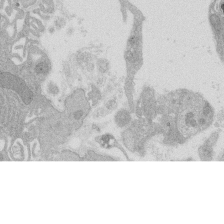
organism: Rat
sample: Salivary granule